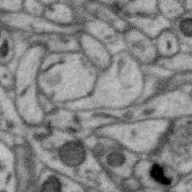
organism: Zebra finch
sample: Brain